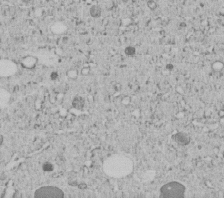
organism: C. elegans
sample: C. elegans embryo early stage